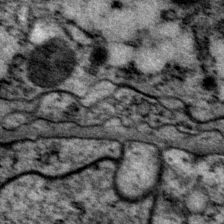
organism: P. pacificus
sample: Pharynx